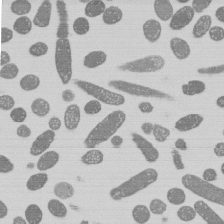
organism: E. coli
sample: Bacterial nucleoid